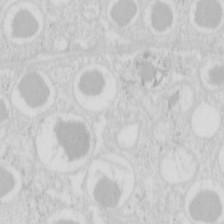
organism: Mouse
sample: Pancreas